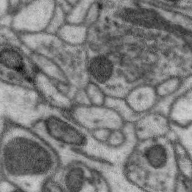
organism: Zebra finch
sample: Brain